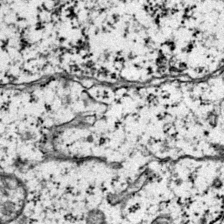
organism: Mouse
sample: Primary visual cortex